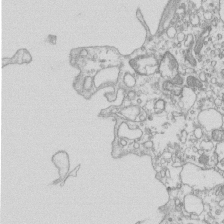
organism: Mouse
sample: Macrophages